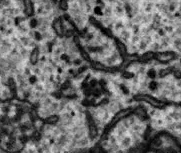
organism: Human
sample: HeLa cells